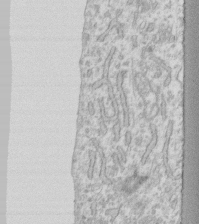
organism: Human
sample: Fibroblast cells